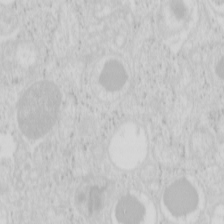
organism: Mouse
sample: Pancreas